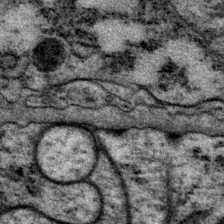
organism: P. pacificus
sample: Pharynx